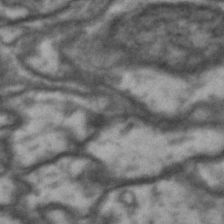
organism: Drosophila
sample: Brain